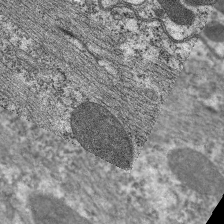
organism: C. elegans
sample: Pharynx